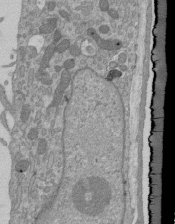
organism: Mouse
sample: ED-1 cell nuclei; centrioles